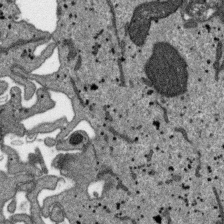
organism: Human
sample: Lung epithelial cells, uninfected (mock) control